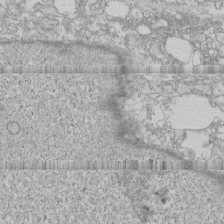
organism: Human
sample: CRL-1474